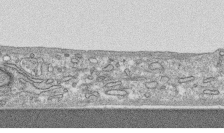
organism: Human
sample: CRL-1474